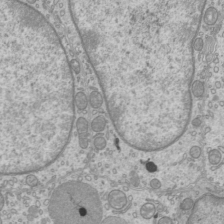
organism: Mouse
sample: Cilia; mouse epididymis